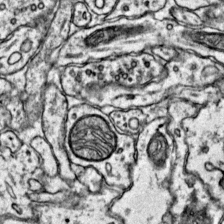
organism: Mouse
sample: Primary visual cortex